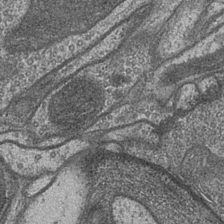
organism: Drosophila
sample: Optic medulla